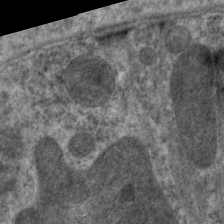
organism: C. elegans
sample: Pharynx